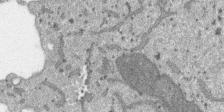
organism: Human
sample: Lung epithelial cells infected with SARS-CoV-2